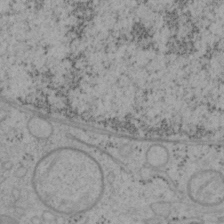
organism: Human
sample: HeLa cells